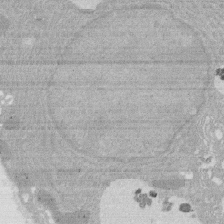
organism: Rat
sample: Salivary granule